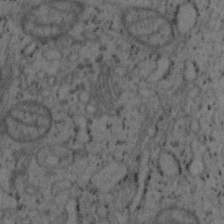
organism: Human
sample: HeLa cells